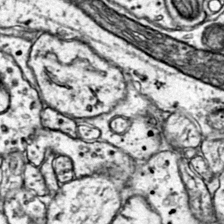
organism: Mouse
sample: Primary visual cortex